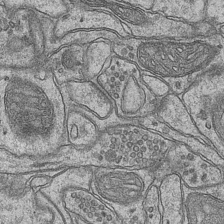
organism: Mouse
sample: CA1 Hippocampus